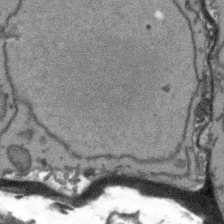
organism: Arabidopsis thaliana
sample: Root tip